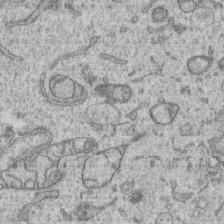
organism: Human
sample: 1205lu cells